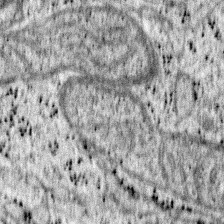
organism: Human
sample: HeLa cells